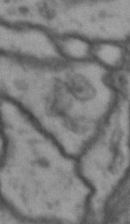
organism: Drosophila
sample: Brain